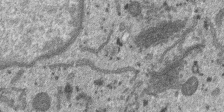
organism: Human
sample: Lung epithelial cells infected with SARS-CoV-2